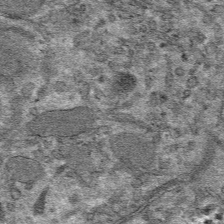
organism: Mouse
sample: Mouse hepatocytes